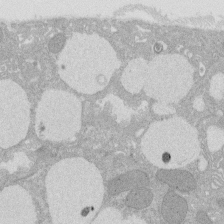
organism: Rat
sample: Salivary granule